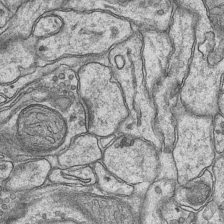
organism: Mouse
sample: CA1 Hippocampus